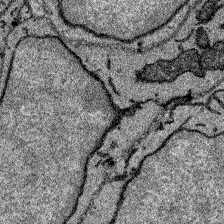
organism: Zebrafish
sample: Larval olfactory bulb